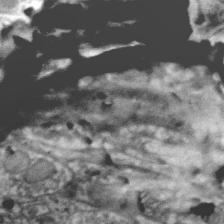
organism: Zebra finch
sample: Brain